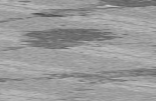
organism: C57BL Mouse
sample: Heart